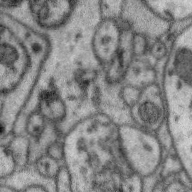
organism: Zebra finch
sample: Brain